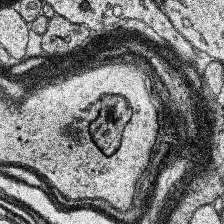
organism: Human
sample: Temporal Lobe